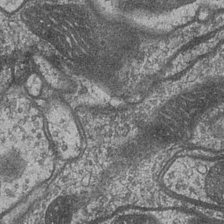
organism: Drosophila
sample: Optic medulla